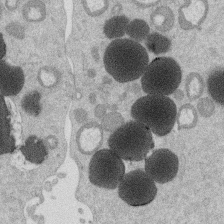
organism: Mouse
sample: Dividing mouse embryo 1 cell stage